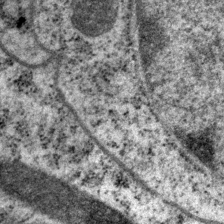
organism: P. pacificus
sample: Pharynx